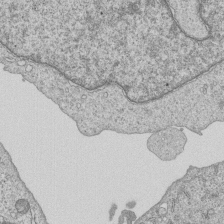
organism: Human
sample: MDA-MB-231 cells